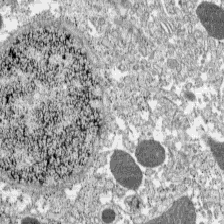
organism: C57BL Mouse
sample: Pancreatic islet